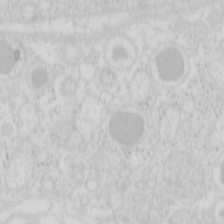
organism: Mouse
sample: Pancreas